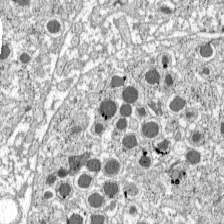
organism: C57BL Mouse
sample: Pancreatic islet